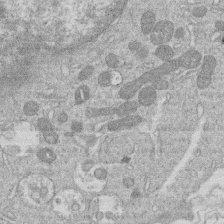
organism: Human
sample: Macrophage cells